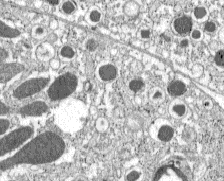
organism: C57BL Mouse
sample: Pancreatic islet